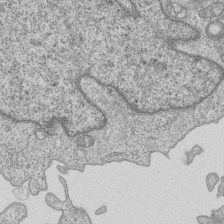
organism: Human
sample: MDA-MB-231 cells